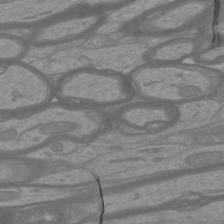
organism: Mouse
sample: Cortical neurons